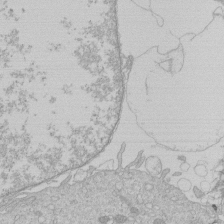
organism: Human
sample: Macrophage cells